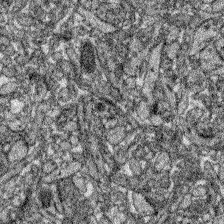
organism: Zebrafish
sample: Larval olfactory bulb